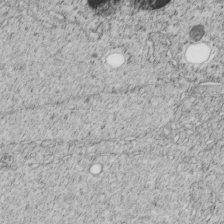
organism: C. elegans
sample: C. elegans embryo early stage